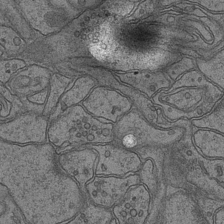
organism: Mouse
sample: CA1 Hippocampus